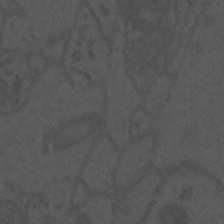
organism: Mouse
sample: Suprachiasmatic nucleus